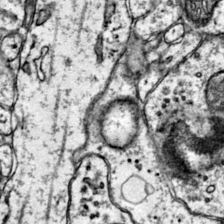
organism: Mouse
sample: Primary visual cortex